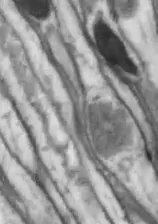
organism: Drosophila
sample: Optic lobe